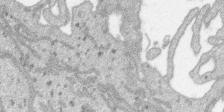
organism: Human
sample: Lung epithelial cells infected with SARS-CoV-2